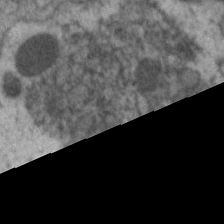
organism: C. elegans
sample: Pharynx